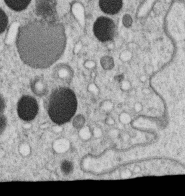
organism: C. elegans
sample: C. elegans oocyte; sperm cells